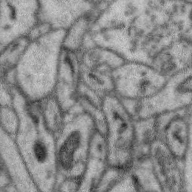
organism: Zebra finch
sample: Brain